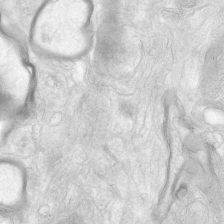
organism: Human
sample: Neocortex